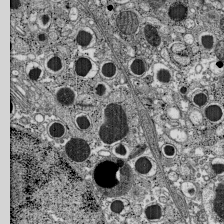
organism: C57BL Mouse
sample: Pancreatic islet